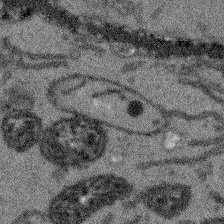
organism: Arabidopsis thaliana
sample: Root tip